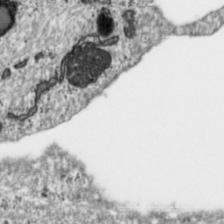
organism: Toxoplasma gondii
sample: Parasites in a vacuole inside a host cell